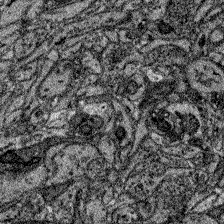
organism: Zebrafish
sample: Larval olfactory bulb